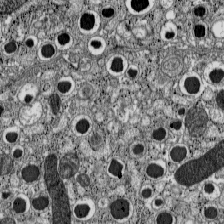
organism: C57BL Mouse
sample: Pancreatic islet